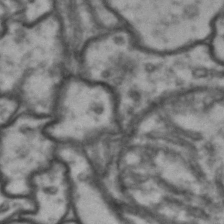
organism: Drosophila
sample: Brain